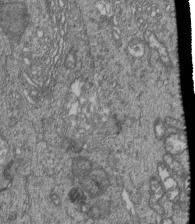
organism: Human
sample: Retinal organoid Rod and Cone cells